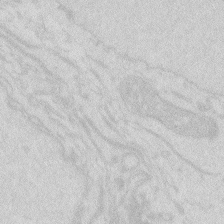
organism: Zebrafish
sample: Macrophage